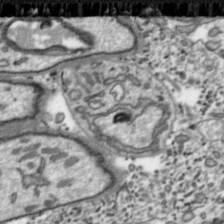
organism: Toxoplasma gondii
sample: Parasites in a vacuole inside a host cell